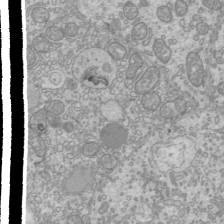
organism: Mouse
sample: Cilia; mouse epididymis